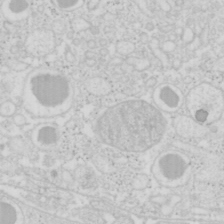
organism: Mouse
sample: Pancreas